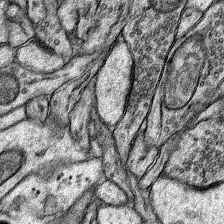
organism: Rat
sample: Hippocampus